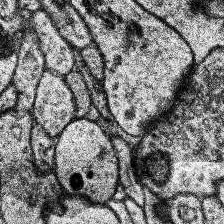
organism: Human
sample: Temporal Lobe